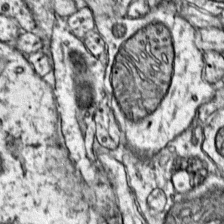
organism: Mouse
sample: Primary visual cortex